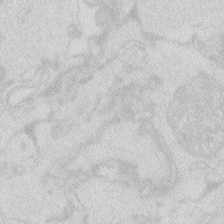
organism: Zebrafish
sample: Macrophage